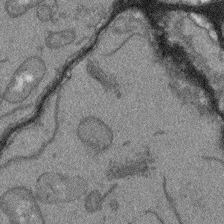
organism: Arabidopsis thaliana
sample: Root tip